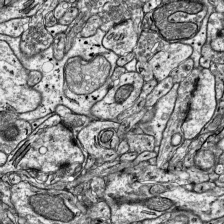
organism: Mouse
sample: Visual Cortex